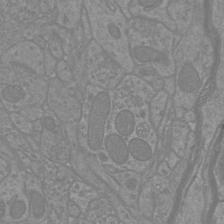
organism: Mouse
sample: Cortical neurons